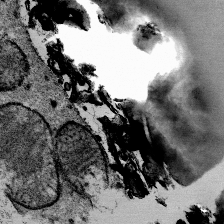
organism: Mouse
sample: Mouse Salivary gland